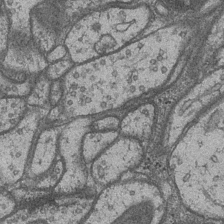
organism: Drosophila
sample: Optic medulla